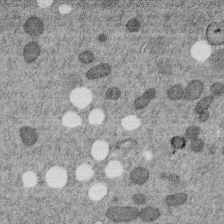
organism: C. elegans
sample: C. elegans embryo early stage